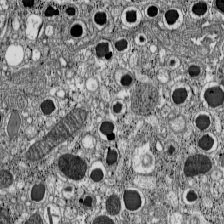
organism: C57BL Mouse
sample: Pancreatic islet